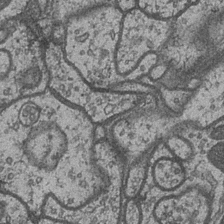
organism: Drosophila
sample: Optic medulla